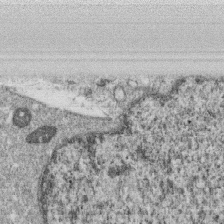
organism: African green monkey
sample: Vero E6 cells infected with SARS-CoV-2